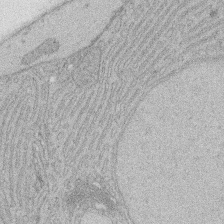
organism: Rat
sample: Salivary granule